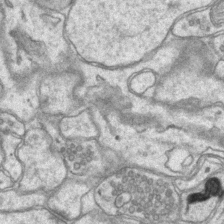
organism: Mouse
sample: CA1 Hippocampus